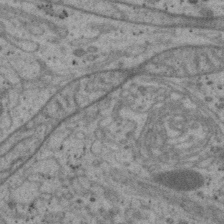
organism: Human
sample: HeLa cells